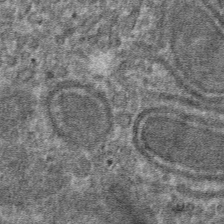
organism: Mouse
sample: Mouse hepatocytes